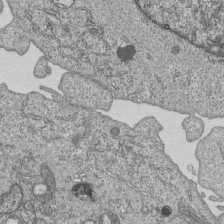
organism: Human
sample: MDA-MB-231 cells